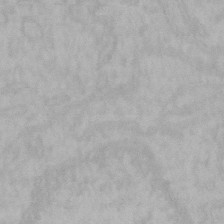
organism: Mouse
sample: Choroid plexus